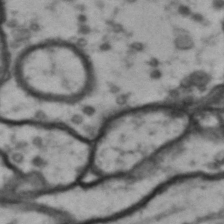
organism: Drosophila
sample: Brain